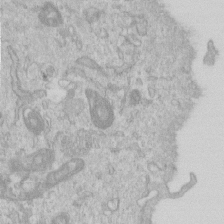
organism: Human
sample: Centriole in RPE cells